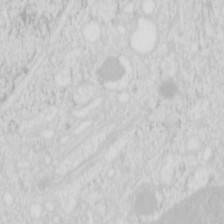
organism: Mouse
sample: Pancreas